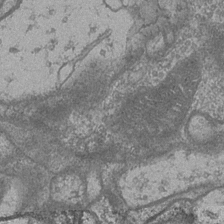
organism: Drosophila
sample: Optic medulla